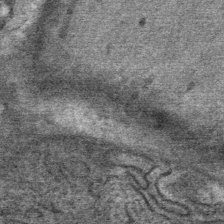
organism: Mouse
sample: Mouse Salivary gland